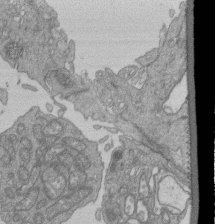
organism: Human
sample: Retinal organoid Rod and Cone cells